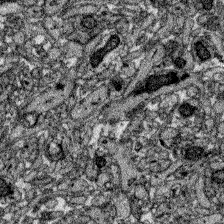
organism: Zebrafish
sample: Larval olfactory bulb